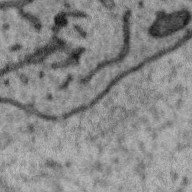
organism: Zebra finch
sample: Brain